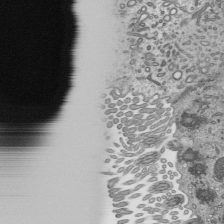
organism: Mouse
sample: Mouse epididymis efferent ductule cilia